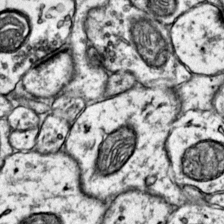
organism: Mouse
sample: Primary visual cortex